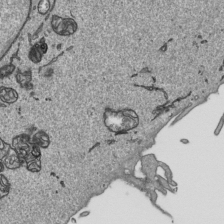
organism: Human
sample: Mitochondria in HCT116 cells